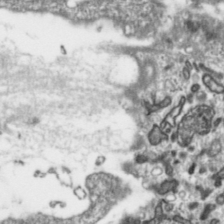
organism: Toxoplasma gondii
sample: Parasites in a vacuole inside a host cell